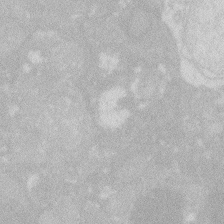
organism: Zebrafish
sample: Macrophage